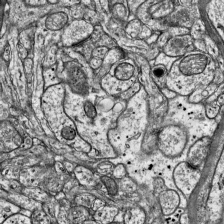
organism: Mouse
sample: Visual Cortex